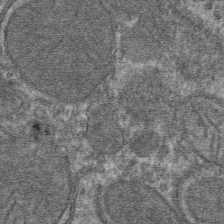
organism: Mouse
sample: Mouse hepatocytes